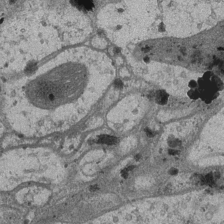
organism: Drosophila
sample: Optic medulla